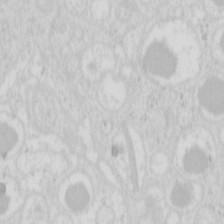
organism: Mouse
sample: Pancreas